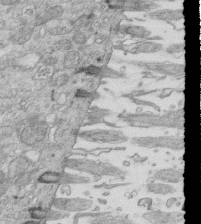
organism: Mouse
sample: Multiciliated cells